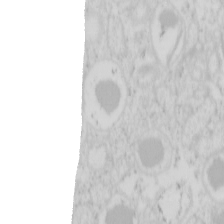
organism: Mouse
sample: Pancreas